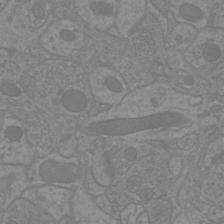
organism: Mouse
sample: Cortical neurons